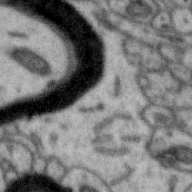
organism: Zebra finch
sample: Brain